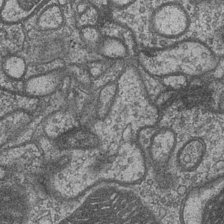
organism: Drosophila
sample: Optic medulla